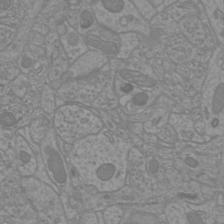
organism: Mouse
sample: Cortical neurons